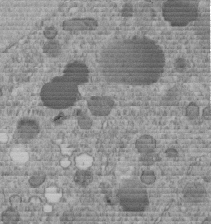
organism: C. elegans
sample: C. elegans embryo early stage